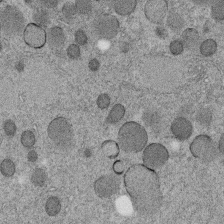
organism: C. elegans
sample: C. elegans embryo early stage